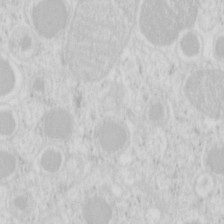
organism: Mouse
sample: Pancreas